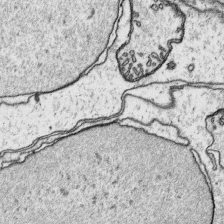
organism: Platynereis dumerilii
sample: Parapodia